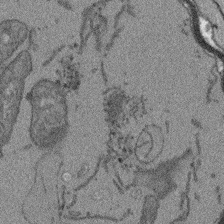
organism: Arabidopsis thaliana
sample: Root tip